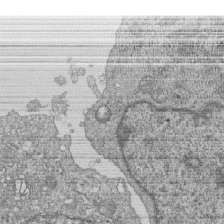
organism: Human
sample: MDA-MB-231 cells